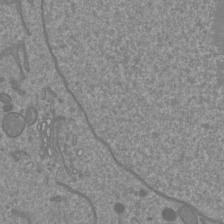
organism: Mouse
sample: Cortical neurons